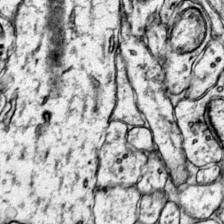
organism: Mouse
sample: Primary visual cortex